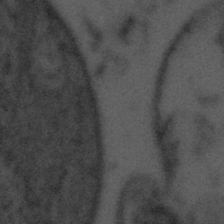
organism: Tuwongella immobilis